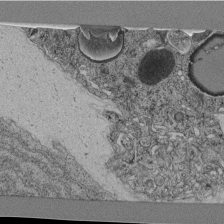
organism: C. elegans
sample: C. elegans pharynx